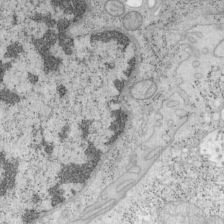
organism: Mouse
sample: OT-I killer T cells with ID8 ovarian cancer cells